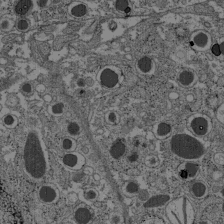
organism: C57BL Mouse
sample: Pancreatic islet